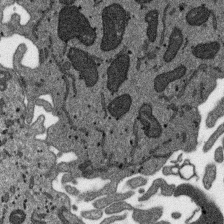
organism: Human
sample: Lung epithelial cells infected with SARS-CoV-2